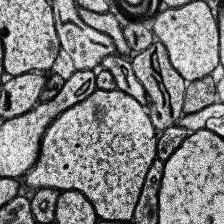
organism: Human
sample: Temporal Lobe